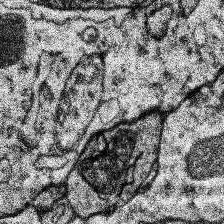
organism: Human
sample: Temporal Lobe